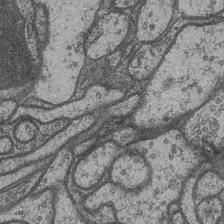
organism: Drosophila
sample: Optic medulla